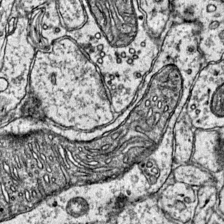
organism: Mouse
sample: Primary visual cortex